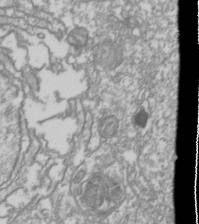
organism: Drosophila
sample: Cell division; meiosis; drosophila spermatocytes